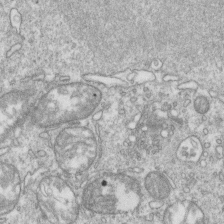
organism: Mouse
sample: Activated OT-1 CD8+ T cells